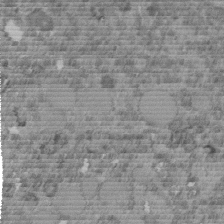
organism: C. elegans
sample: C. elegans embryo early stage